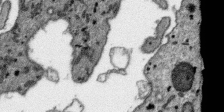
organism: Human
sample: Lung epithelial cells, uninfected (mock) control